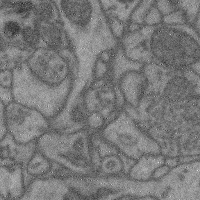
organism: Mouse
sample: Cerebral cortex